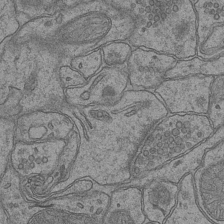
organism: Mouse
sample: CA1 Hippocampus